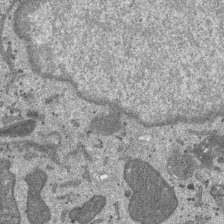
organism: Human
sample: Lung epithelial cells infected with SARS-CoV-2